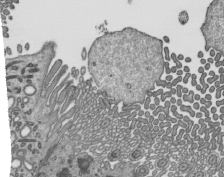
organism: Mouse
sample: Mouse epididymis efferent ductule cilia